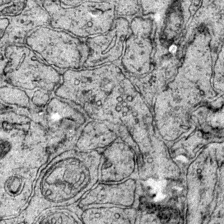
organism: Mouse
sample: Primary visual cortex